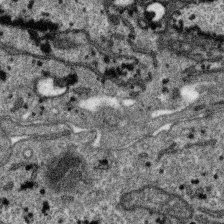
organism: Human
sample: Lung epithelial cells infected with SARS-CoV-2